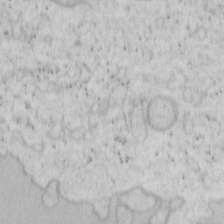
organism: Human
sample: HeLa cells